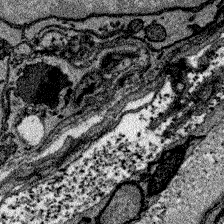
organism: Zebrafish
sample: Larval olfactory bulb